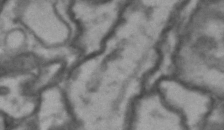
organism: Drosophila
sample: Brain